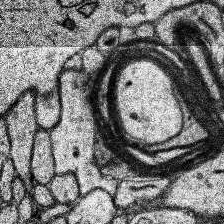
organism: Human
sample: Temporal Lobe